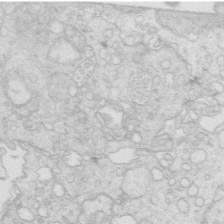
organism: Mouse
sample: Multiciliated cells